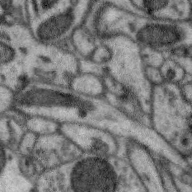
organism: Zebra finch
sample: Brain